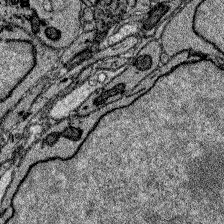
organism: Zebrafish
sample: Larval olfactory bulb